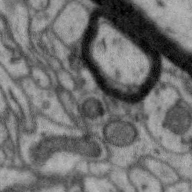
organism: Zebra finch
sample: Brain